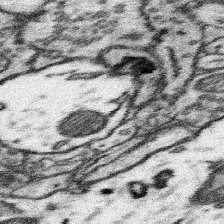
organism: Mouse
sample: Somatosensory cortex neuropil